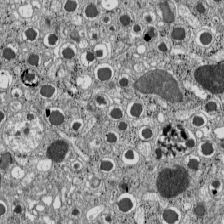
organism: C57BL Mouse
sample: Pancreatic islet